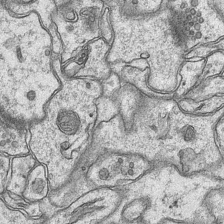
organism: Mouse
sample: CA1 Hippocampus